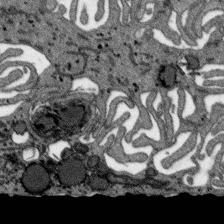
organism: Human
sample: Lung epithelial cells, uninfected (mock) control